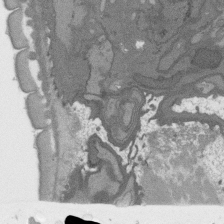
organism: C. elegans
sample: AFD neurons C. elegans